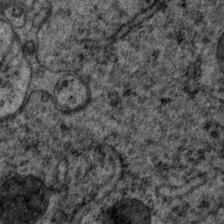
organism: P. pacificus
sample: Pharynx